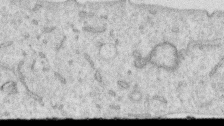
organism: Human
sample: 1205lu cells